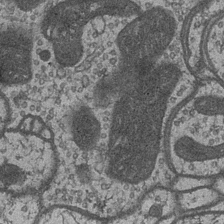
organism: Drosophila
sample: Optic medulla